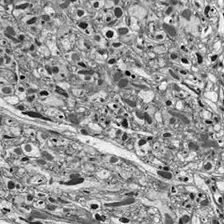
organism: Drosophila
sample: Optic lobe